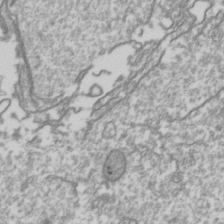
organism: Drosophila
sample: Cell division; meiosis; drosophila spermatocytes